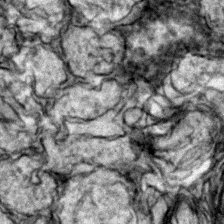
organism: Zebrafish